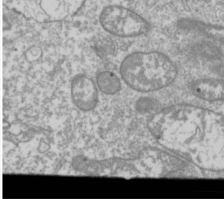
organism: Drosophila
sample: Cell division; meiosis; drosophila spermatocytes